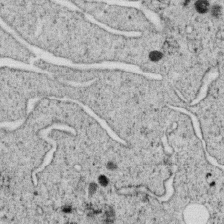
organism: C. elegans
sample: C. elegans oocyte; sperm cells